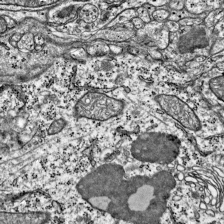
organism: Mouse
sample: Visual Cortex